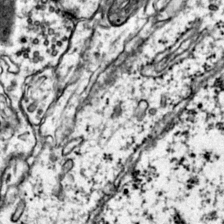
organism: Mouse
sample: Primary visual cortex